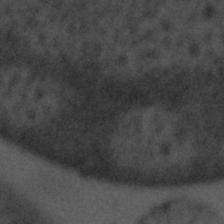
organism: Tuwongella immobilis